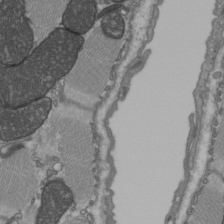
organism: C57BL Mouse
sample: Heart